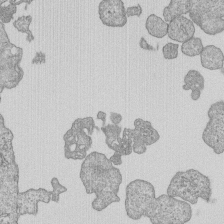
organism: Human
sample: MDA-MB-231 cells